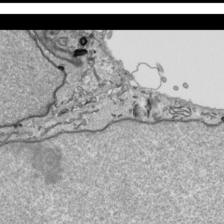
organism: Human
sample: Mitochondria in HCT116 cells